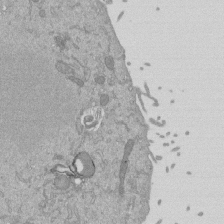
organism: Mouse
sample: ED-1 cell nuclei; centrioles